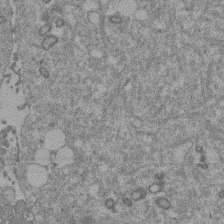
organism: Mouse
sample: Dividing mouse embryo 1 cell stage